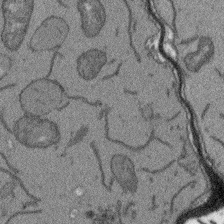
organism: Arabidopsis thaliana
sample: Root tip